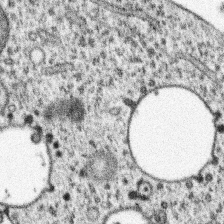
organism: Human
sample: HeLa cells